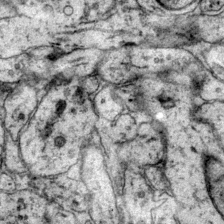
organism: Mouse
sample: Primary visual cortex